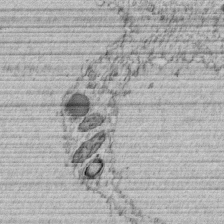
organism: C. elegans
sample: C. elegans embryo early stage